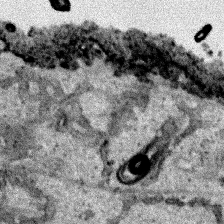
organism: Human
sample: Mitochondria in HCT116 cells